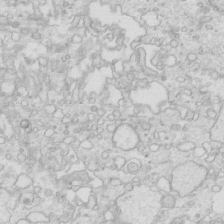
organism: Mouse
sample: Multiciliated cells